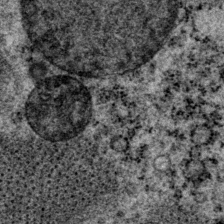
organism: P. pacificus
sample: Pharynx